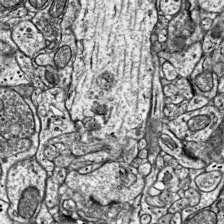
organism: Mouse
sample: Visual Cortex